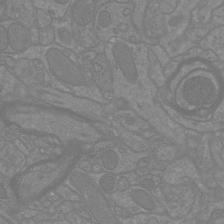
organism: Mouse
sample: Cortical neurons